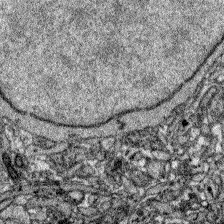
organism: Zebrafish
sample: Larval olfactory bulb